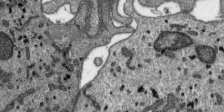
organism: Human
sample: Lung epithelial cells, uninfected (mock) control